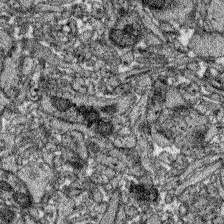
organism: Zebrafish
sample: Larval olfactory bulb